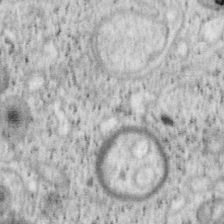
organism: Mouse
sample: OT-I killer T cells with ID8 ovarian cancer cells